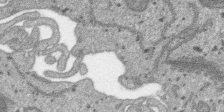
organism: Human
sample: Lung epithelial cells infected with SARS-CoV-2